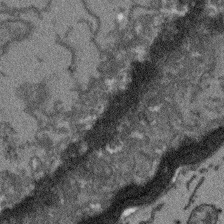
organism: Arabidopsis thaliana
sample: Root tip